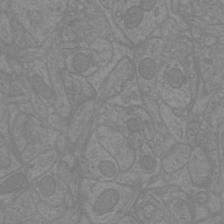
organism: Mouse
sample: Cortical neurons